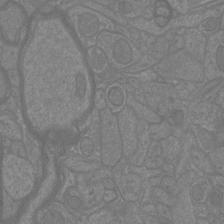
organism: Mouse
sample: Cortical neurons